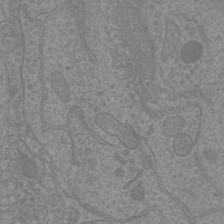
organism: Mouse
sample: Cortical neurons